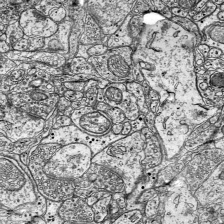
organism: Mouse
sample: Visual Cortex